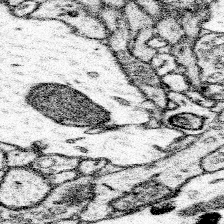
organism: Mouse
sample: Somatosensory cortex neuropil